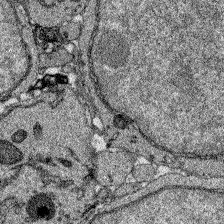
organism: Zebrafish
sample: Larval olfactory bulb